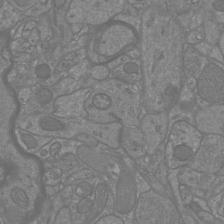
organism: Mouse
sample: Cortical neurons